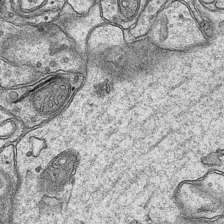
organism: Mouse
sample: CA1 Hippocampus